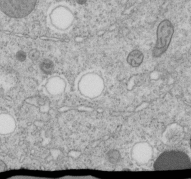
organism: C. elegans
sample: C. elegans embryo early stage